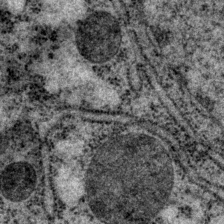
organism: P. pacificus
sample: Pharynx